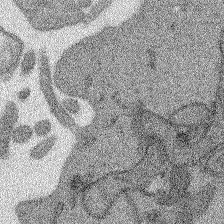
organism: Human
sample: HeLa cells